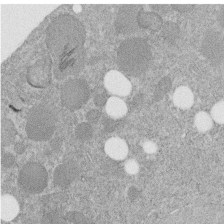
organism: C. elegans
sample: C. elegans embryo early stage